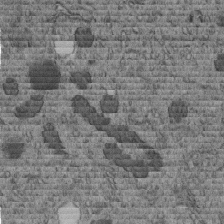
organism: C. elegans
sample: C. elegans embryo early stage